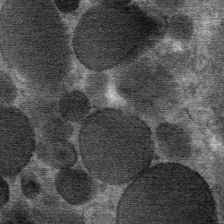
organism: Mouse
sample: Mouse Salivary gland